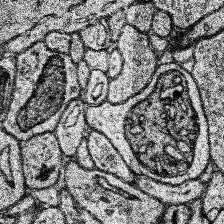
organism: Human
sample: Temporal Lobe